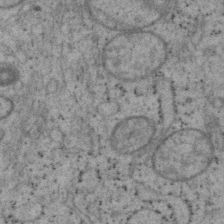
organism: Human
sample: HeLa cells